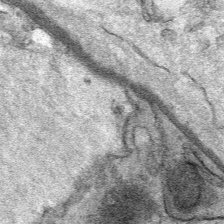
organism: Mouse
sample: Mouse Salivary gland